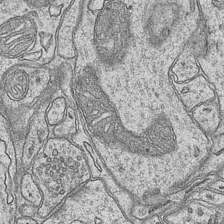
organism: Mouse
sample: CA1 Hippocampus